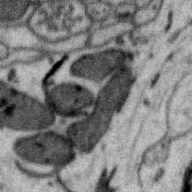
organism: Zebra finch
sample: Brain